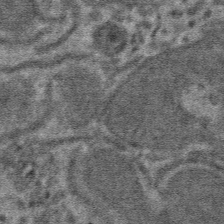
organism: Mouse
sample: Mouse hepatocytes